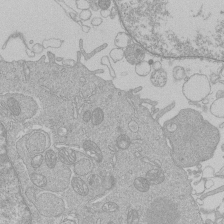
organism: Human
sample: Macrophage cells